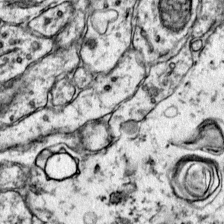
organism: Mouse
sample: Primary visual cortex